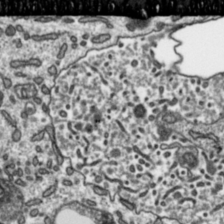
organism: Toxoplasma gondii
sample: Parasites in a vacuole inside a host cell